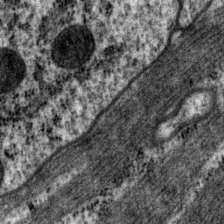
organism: P. pacificus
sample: Pharynx